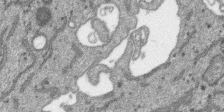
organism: Human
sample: Lung epithelial cells infected with SARS-CoV-2